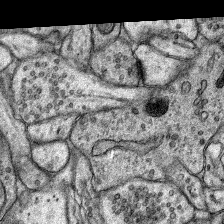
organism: Rat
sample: Hippocampus